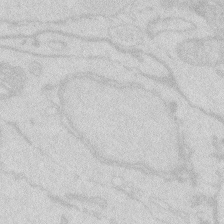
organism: Zebrafish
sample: Macrophage